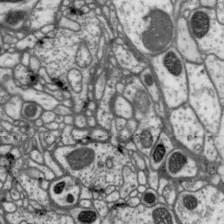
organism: Drosophila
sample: Protocerebral bridge